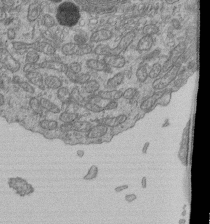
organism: Human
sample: Retinal organoid Rod and Cone cells